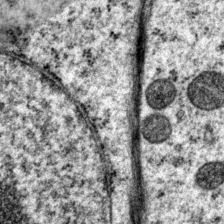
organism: P. pacificus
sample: Pharynx